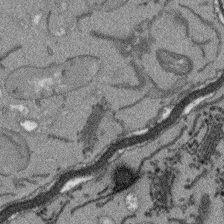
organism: Arabidopsis thaliana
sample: Root tip